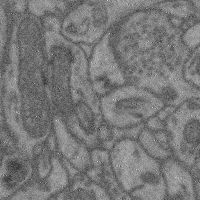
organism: Mouse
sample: Cerebral cortex